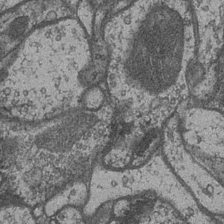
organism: Drosophila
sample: Optic medulla